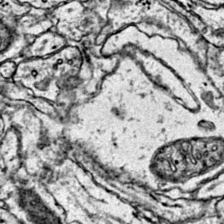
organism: Mouse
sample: Primary visual cortex